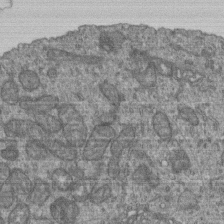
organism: Human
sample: Retinal organoid Rod and Cone cells